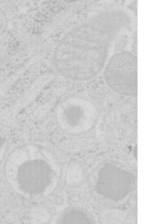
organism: Mouse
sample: Pancreas